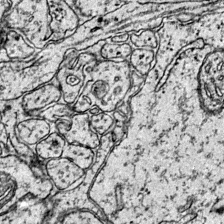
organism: Mouse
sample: Primary visual cortex